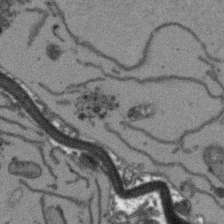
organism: Arabidopsis thaliana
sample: Root tip